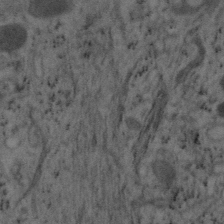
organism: Human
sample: HeLa cells